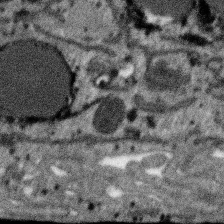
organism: Human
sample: Lung epithelial cells infected with SARS-CoV-2